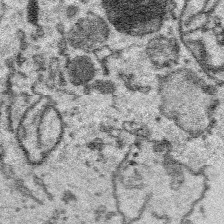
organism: Platynereis dumerilii